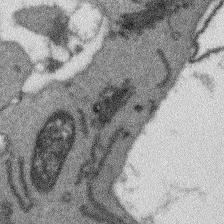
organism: Arabidopsis thaliana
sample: Root tip